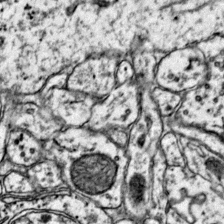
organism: Mouse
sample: Primary visual cortex